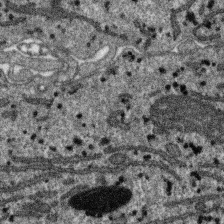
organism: Human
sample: Lung epithelial cells infected with SARS-CoV-2